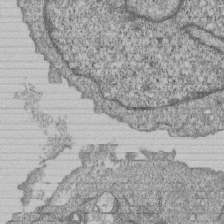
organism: Human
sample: MDA-MB-231 cells